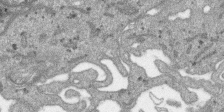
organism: Human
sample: Lung epithelial cells infected with SARS-CoV-2